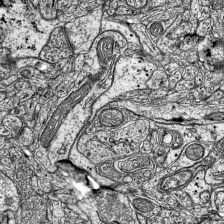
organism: Mouse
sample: Visual Cortex